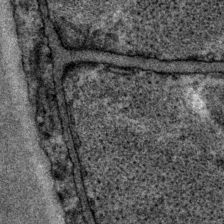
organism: P. pacificus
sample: Pharynx